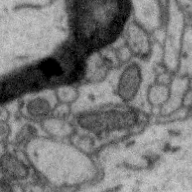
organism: Zebra finch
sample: Brain